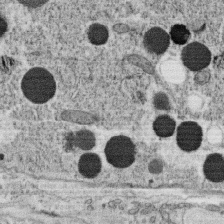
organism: C. elegans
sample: C. elegans oocyte; sperm cells